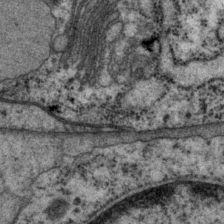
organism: P. pacificus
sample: Pharynx